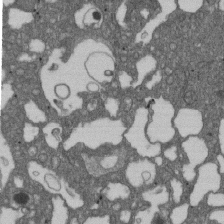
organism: Drosophila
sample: Nephrocyte